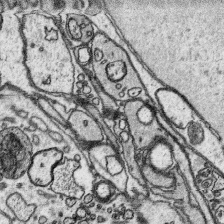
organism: Platynereis dumerilii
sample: Parapodia